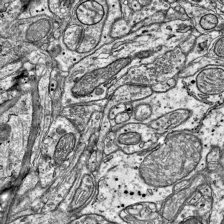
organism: Mouse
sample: Visual Cortex